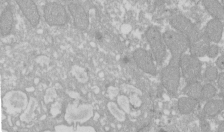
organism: Xenopus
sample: Cilia; centrioles in frog embryo cells